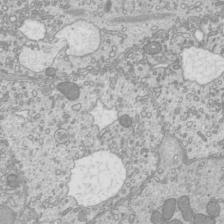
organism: Mouse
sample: Cilia; mouse epididymis